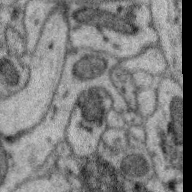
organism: Zebra finch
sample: Brain